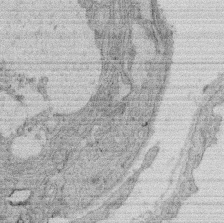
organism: Rat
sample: Salivary granule